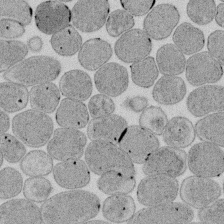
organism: E. coli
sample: Bacterial nucleoid